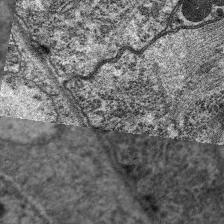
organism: C. elegans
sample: Pharynx